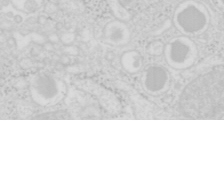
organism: Mouse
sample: Pancreas